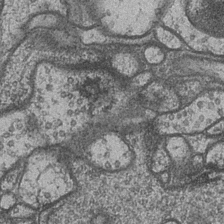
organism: Drosophila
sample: Optic medulla